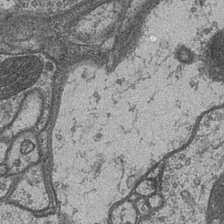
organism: Drosophila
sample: Optic medulla